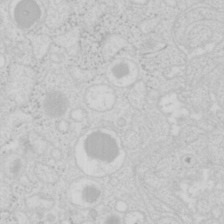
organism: Mouse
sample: Pancreas